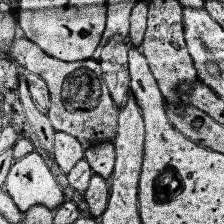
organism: Human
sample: Temporal Lobe